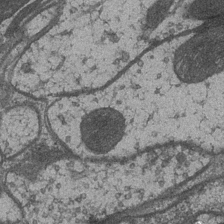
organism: Drosophila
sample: Optic medulla